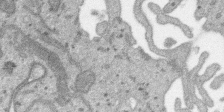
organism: Human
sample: Lung epithelial cells infected with SARS-CoV-2